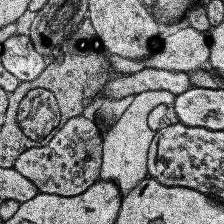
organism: Human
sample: Temporal Lobe